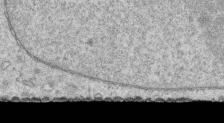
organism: Human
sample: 1205lu cells